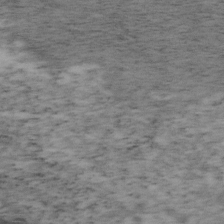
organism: Mouse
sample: OT-I killer T cells with ID8 ovarian cancer cells